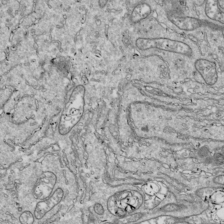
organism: Drosophila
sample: Cell division; meiosis; drosophila spermatocytes